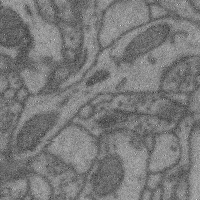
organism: Mouse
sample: Cerebral cortex